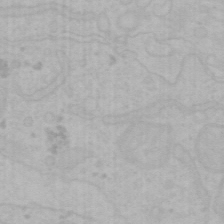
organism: Mouse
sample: Choroid plexus